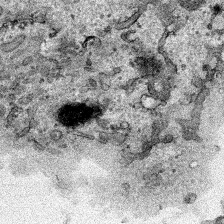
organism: Human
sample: Mitochondria in HCT116 cells